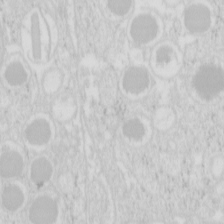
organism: Mouse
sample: Pancreas